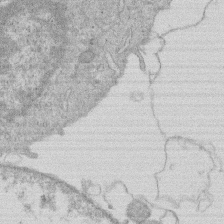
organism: Human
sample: Macrophage cells